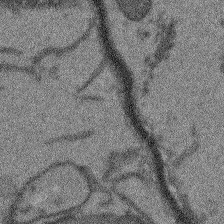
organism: Arabidopsis thaliana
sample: Root tip